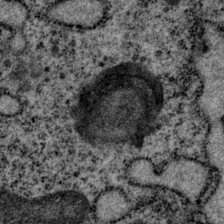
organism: P. pacificus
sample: Pharynx